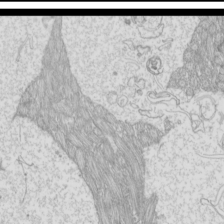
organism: Mouse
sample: Cilia; mouse epididymis